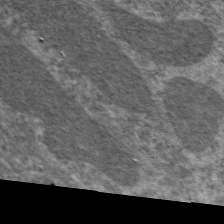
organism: C. elegans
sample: Pharynx